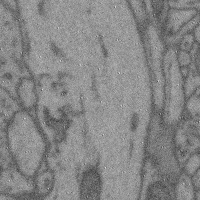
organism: Mouse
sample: Cerebral cortex